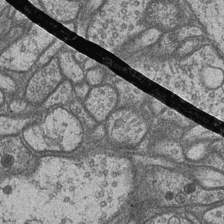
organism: Drosophila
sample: Optic medulla